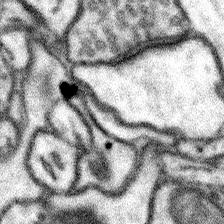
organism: Mouse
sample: Somatosensory cortex neuropil